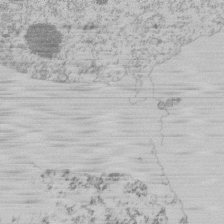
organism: Mouse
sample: Activated Pmel transgenic CD8+ T Cells